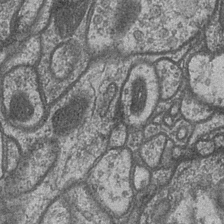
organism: Drosophila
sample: Optic medulla